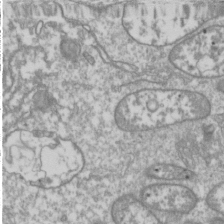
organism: Drosophila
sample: Cell division; meiosis; drosophila spermatocytes